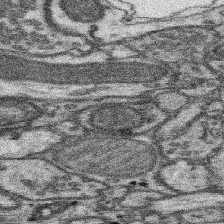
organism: Mouse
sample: Somatosensory cortex neuropil